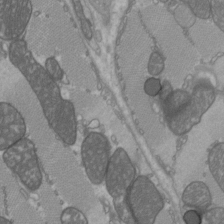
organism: C57BL Mouse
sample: Heart